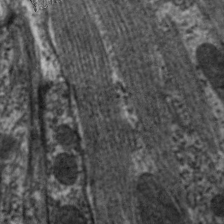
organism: C. elegans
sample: Pharynx